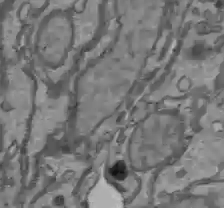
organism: C57BL Mouse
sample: Liver